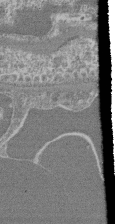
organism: Mouse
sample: Glomerulus